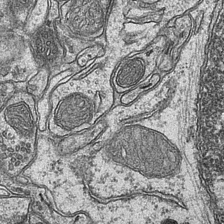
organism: Mouse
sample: CA1 Hippocampus